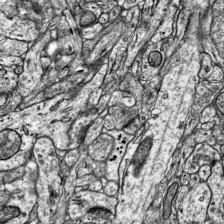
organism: Mouse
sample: Visual Cortex